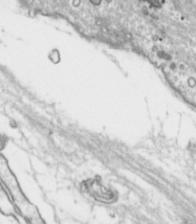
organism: Toxoplasma gondii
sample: Parasites in a vacuole inside a host cell